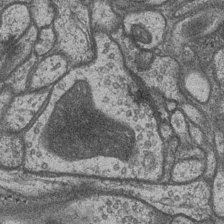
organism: Drosophila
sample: Optic medulla